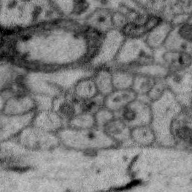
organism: Zebra finch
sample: Brain